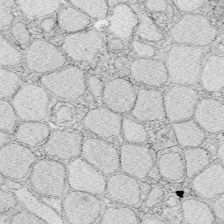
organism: Zebrafish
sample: Whole-Brain